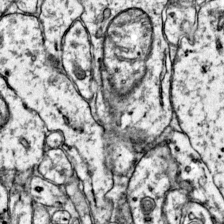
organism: Mouse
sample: Primary visual cortex